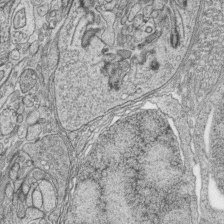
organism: Zebrafish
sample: synaptic ribbons in rod cells and cone cells